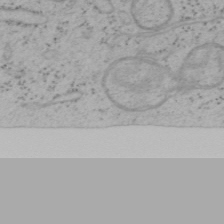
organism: Human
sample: HeLa cells